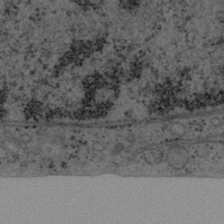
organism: Human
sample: HeLa cells